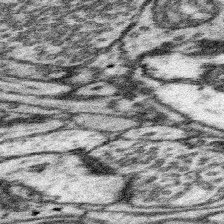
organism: Mouse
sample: Somatosensory cortex neuropil